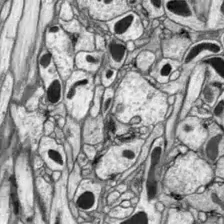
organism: Drosophila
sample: Optic lobe